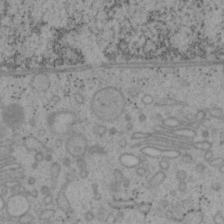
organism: Human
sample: HeLa cells